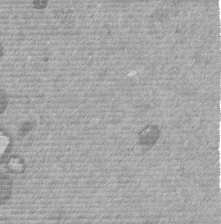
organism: Mouse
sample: Dividing mouse embryo 1 cell stage